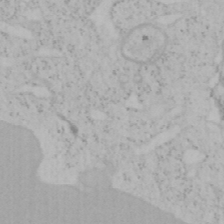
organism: Mouse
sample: OT-I killer T cells with ID8 ovarian cancer cells